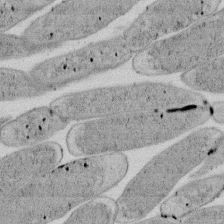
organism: E. coli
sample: Bacterial nucleoid